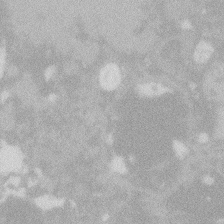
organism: Zebrafish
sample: Macrophage